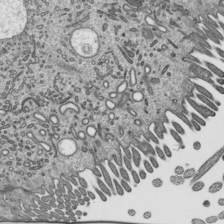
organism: Mouse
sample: Mouse epididymis efferent ductule cilia